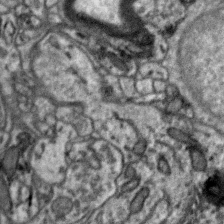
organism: Zebra finch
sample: Brain